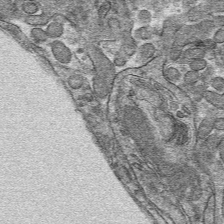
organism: Mouse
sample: Mouse hepatocytes